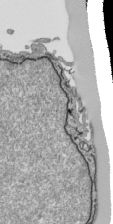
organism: Human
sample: Mitochondria in HCT116 cells